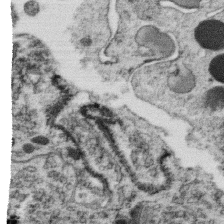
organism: C. elegans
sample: C. elegans oocyte; sperm cells